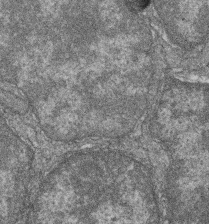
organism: Zebrafish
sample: Cilia; retinal pigment epithelium